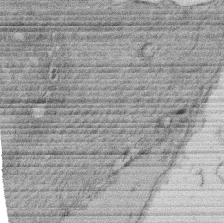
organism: Rat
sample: Salivary granule